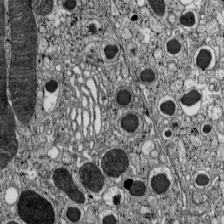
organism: C57BL Mouse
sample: Pancreatic islet